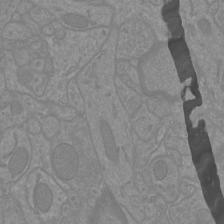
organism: Mouse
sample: Cortical neurons